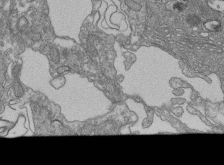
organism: Human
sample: Retinal organoid Rod and Cone cells